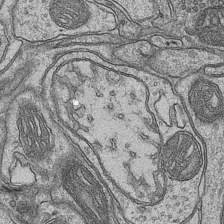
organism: Mouse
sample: CA1 Hippocampus